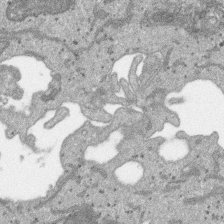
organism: Human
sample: Lung epithelial cells infected with SARS-CoV-2